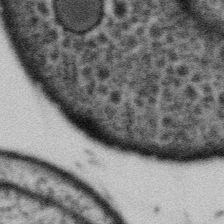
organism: Gemmata obscuriglobus